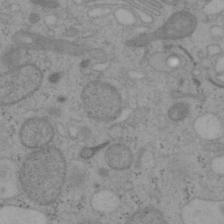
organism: Mouse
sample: OT-I killer T cells with ID8 ovarian cancer cells